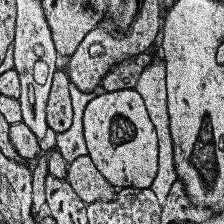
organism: Human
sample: Temporal Lobe